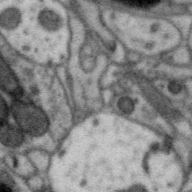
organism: Zebra finch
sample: Brain